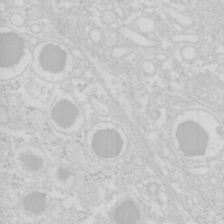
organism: Mouse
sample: Pancreas